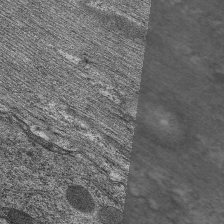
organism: C. elegans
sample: Pharynx